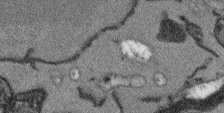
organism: Arabidopsis thaliana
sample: Root tip